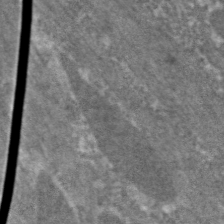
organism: C. elegans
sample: Pharynx